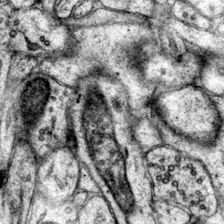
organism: Mouse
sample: Primary visual cortex